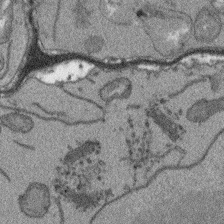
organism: Arabidopsis thaliana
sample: Root tip